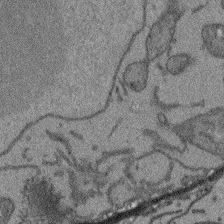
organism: Arabidopsis thaliana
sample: Root tip